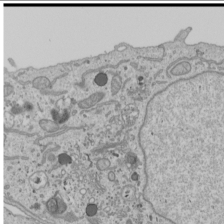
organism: Human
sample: Mitochondria in U2OS cells